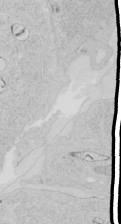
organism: Human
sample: Mitochondria in HCT116 cells